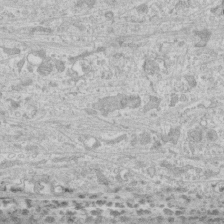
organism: Human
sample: CRL-1474